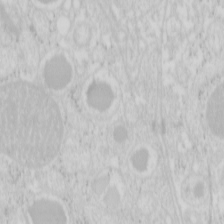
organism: Mouse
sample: Pancreas